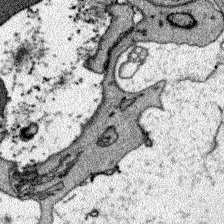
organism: Zebrafish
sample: Larval olfactory bulb